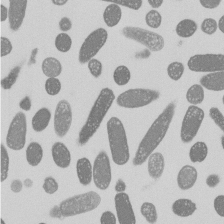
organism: E. coli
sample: Bacterial nucleoid